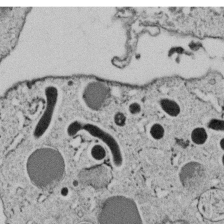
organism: C. elegans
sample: C. elegans embryo early stage